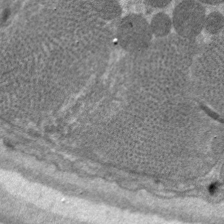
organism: C. elegans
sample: Pharynx